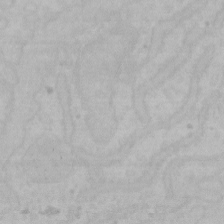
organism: Mouse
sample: Choroid plexus